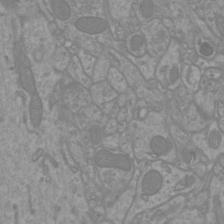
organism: Mouse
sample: Cortical neurons